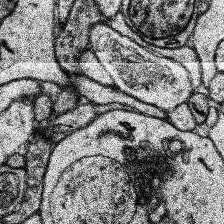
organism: Human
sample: Temporal Lobe